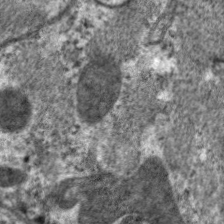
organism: C. elegans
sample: Pharynx